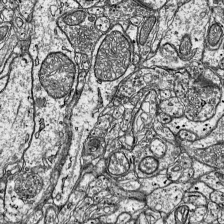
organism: Mouse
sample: Visual Cortex